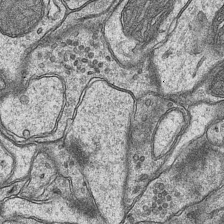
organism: Mouse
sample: CA1 Hippocampus